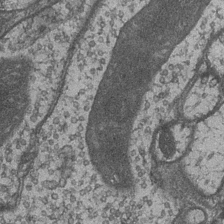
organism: Drosophila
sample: Optic medulla